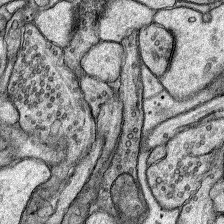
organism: Rat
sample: Hippocampus